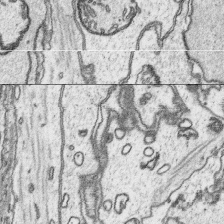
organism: Platynereis dumerilii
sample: Parapodia